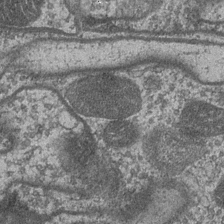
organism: Drosophila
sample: Optic medulla